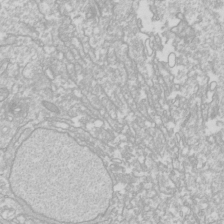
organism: Drosophila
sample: Cell division; meiosis; drosophila spermatocytes